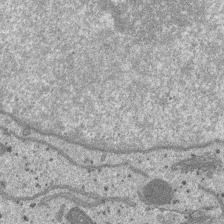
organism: Human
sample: Lung epithelial cells infected with SARS-CoV-2